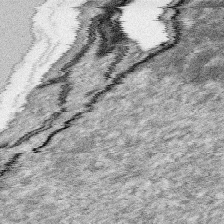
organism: Human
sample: HeLa cells